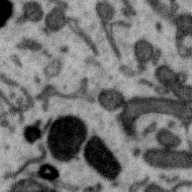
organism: Zebra finch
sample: Brain